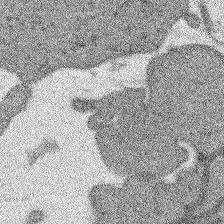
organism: Human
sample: HeLa cells